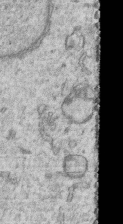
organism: Human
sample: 1205lu cells